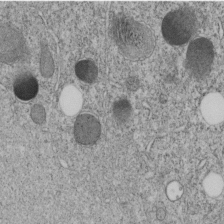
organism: C. elegans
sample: C. elegans embryo early stage